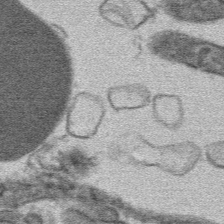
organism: Mouse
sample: Mouse hepatocytes